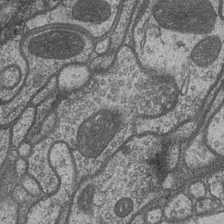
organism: Drosophila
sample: Optic medulla